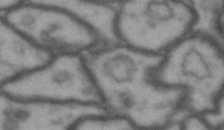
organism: Drosophila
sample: Brain